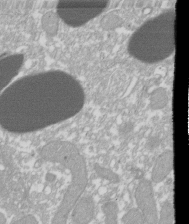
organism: Xenopus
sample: Cilia; centrioles in frog embryo cells